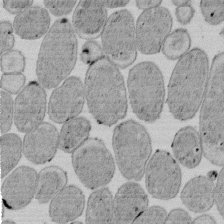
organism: E. coli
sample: Bacterial nucleoid